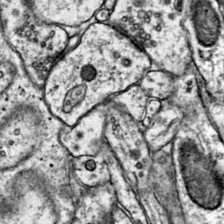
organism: Mouse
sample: Primary visual cortex